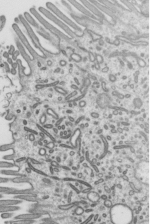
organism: Mouse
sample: Mouse epididymis efferent ductule cilia